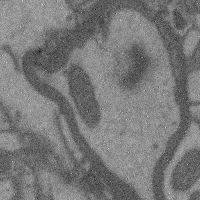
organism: Mouse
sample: Cerebral cortex